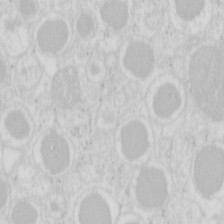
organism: Mouse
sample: Pancreas